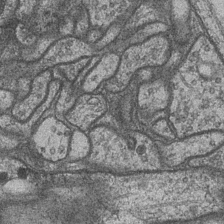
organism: Drosophila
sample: Optic medulla